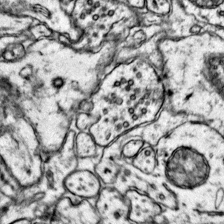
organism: Mouse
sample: Primary visual cortex